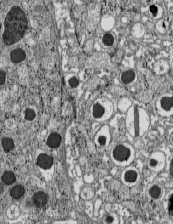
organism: C57BL Mouse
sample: Pancreatic islet